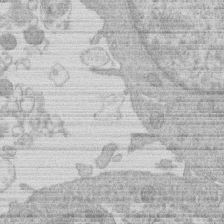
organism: Human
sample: Macrophage cells